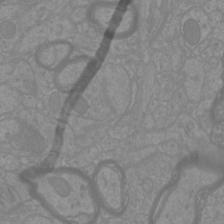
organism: Mouse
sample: Cortical neurons